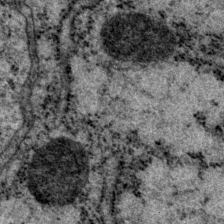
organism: P. pacificus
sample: Pharynx